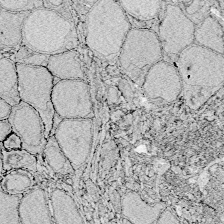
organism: Zebrafish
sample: Whole-Brain